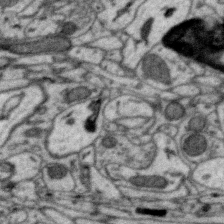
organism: Zebra finch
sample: Brain